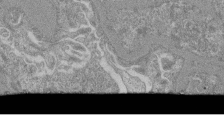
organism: Mouse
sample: Glomerulus